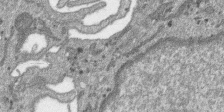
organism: Human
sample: Lung epithelial cells infected with SARS-CoV-2